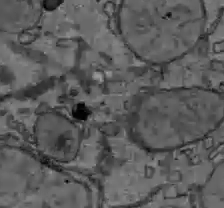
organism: C57BL Mouse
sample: Liver